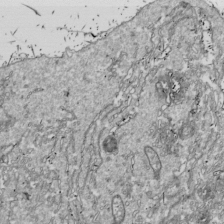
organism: Drosophila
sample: Cell division; meiosis; drosophila spermatocytes